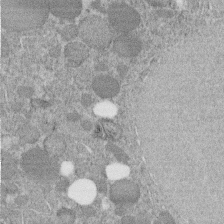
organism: C. elegans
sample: C. elegans embryo early stage